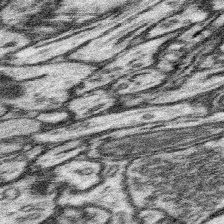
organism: Mouse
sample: Somatosensory cortex neuropil